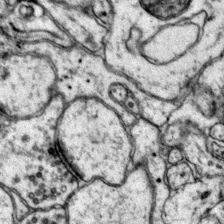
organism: Mouse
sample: Primary visual cortex